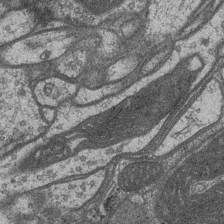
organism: Drosophila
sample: Optic medulla